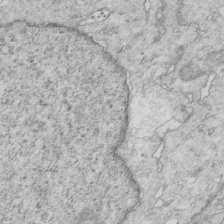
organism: Mouse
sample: Multiciliated cells